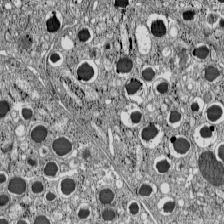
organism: C57BL Mouse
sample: Pancreatic islet